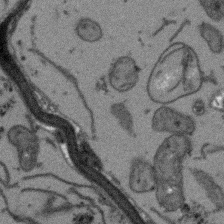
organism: Arabidopsis thaliana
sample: Root tip